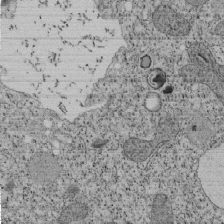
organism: Tetrahymena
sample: Cilia in tetrahymena